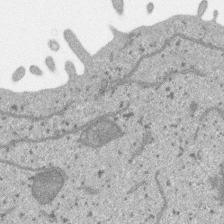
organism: Human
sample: Lung epithelial cells infected with SARS-CoV-2